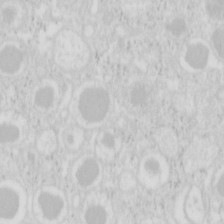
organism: Mouse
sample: Pancreas